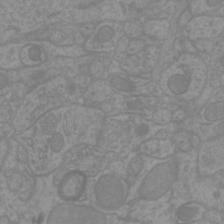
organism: Mouse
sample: Cortical neurons